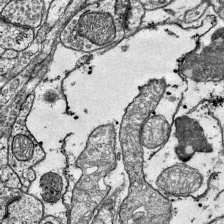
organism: Mouse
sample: Visual Cortex